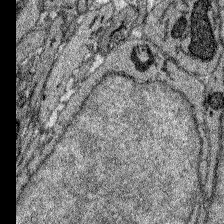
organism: Zebrafish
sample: Larval olfactory bulb